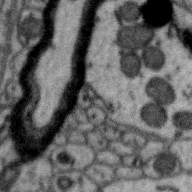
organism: Zebra finch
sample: Brain